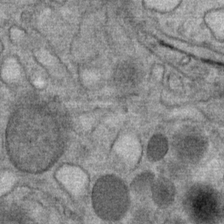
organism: Mouse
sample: Mouse Salivary gland